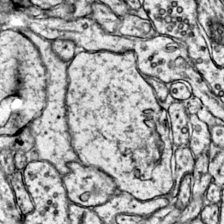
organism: Mouse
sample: Primary visual cortex